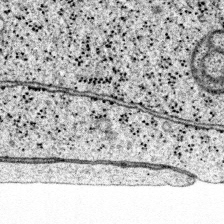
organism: Human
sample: HeLa cells